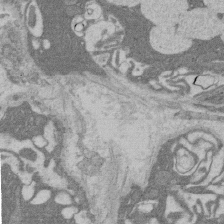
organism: Rat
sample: Salivary granule